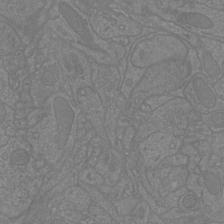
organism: Mouse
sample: Cortical neurons